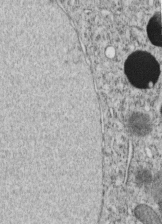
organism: C. elegans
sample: C. elegans embryo early stage